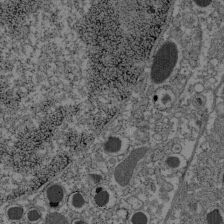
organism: C57BL Mouse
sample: Pancreatic islet